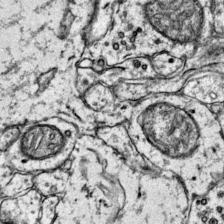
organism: Mouse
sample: Primary visual cortex